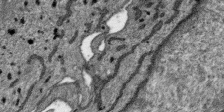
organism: Human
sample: Lung epithelial cells, uninfected (mock) control